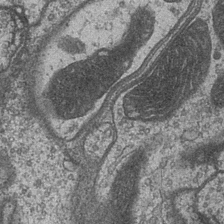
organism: Drosophila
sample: Optic medulla